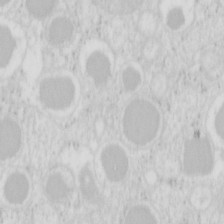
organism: Mouse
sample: Pancreas